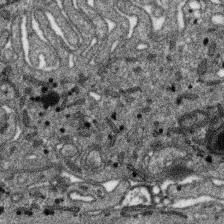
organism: Human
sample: Lung epithelial cells infected with SARS-CoV-2